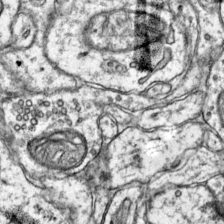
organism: Mouse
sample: Primary visual cortex